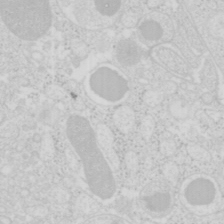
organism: Mouse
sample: Pancreas